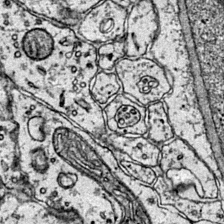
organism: Mouse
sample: Primary visual cortex